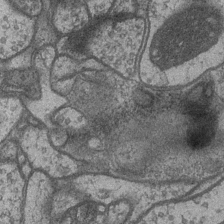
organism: Drosophila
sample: Optic medulla